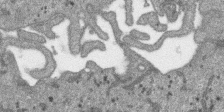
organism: Human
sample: Lung epithelial cells infected with SARS-CoV-2